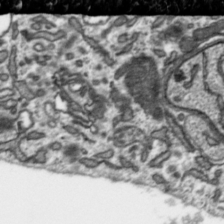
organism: Toxoplasma gondii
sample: Parasites in a vacuole inside a host cell